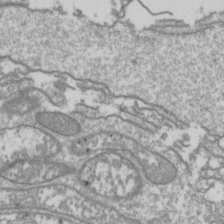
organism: Drosophila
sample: Cell division; meiosis; drosophila spermatocytes